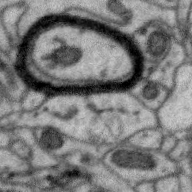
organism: Zebra finch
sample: Brain